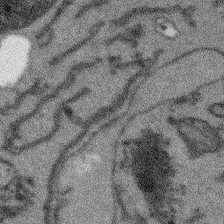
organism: Arabidopsis thaliana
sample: Root tip